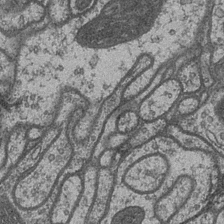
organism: Drosophila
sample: Optic medulla